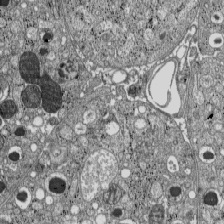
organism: C57BL Mouse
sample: Pancreatic islet